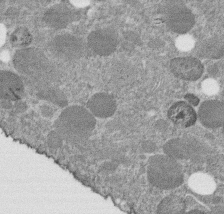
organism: C. elegans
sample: C. elegans embryo early stage